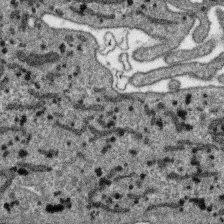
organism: Human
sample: Lung epithelial cells infected with SARS-CoV-2